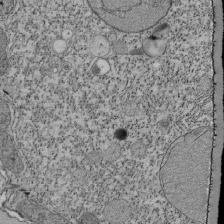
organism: Tetrahymena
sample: Cilia in tetrahymena